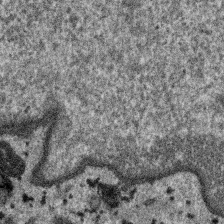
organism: Human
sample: Lung epithelial cells infected with SARS-CoV-2